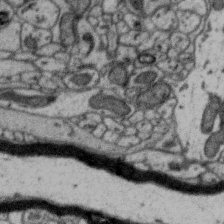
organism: Zebra finch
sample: Brain